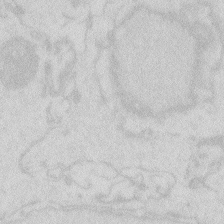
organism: Zebrafish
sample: Macrophage